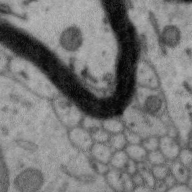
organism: Zebra finch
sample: Brain